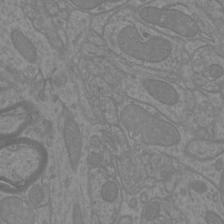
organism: Mouse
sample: Cortical neurons